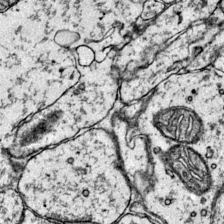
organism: Mouse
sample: Primary visual cortex